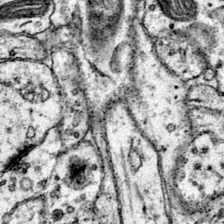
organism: Mouse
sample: Primary visual cortex